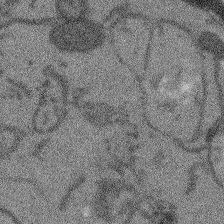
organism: Arabidopsis thaliana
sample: Root tip